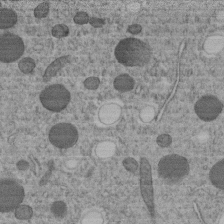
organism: C. elegans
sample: C. elegans embryo early stage